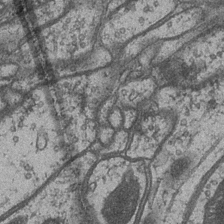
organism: Drosophila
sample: Optic medulla